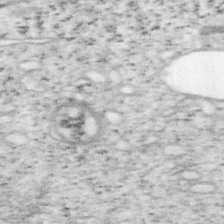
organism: Mouse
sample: OT-I killer T cells with ID8 ovarian cancer cells